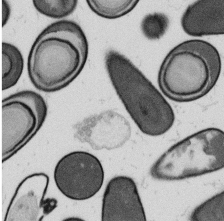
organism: B. subtilis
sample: Bacterial spore